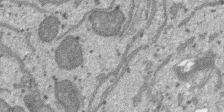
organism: Human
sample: Lung epithelial cells infected with SARS-CoV-2